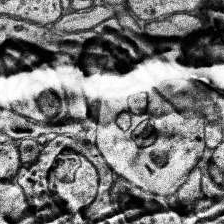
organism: Human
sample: Temporal Lobe